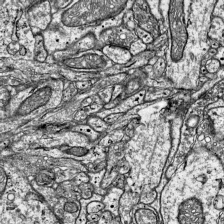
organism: Mouse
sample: Visual Cortex